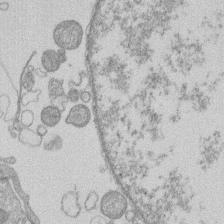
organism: Human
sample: Macrophage cells